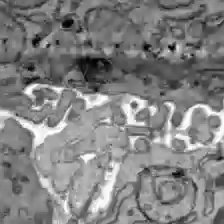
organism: C57BL Mouse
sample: Liver